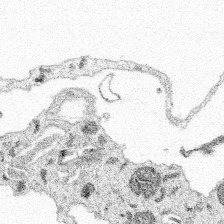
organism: Spongilla lacustris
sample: Multiple